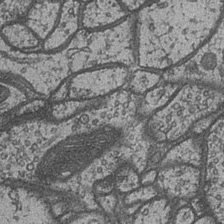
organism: Drosophila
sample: Optic medulla